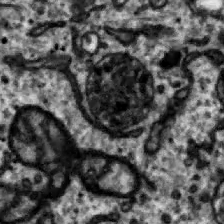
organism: Human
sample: HeLa cells